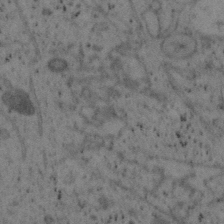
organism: Human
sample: HeLa cells